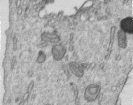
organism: Human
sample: Centriole in RPE cells